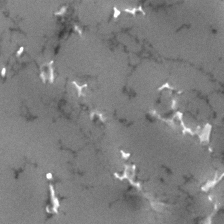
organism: Human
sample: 1205lu cells